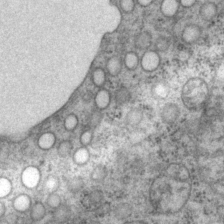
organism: P. pacificus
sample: Pharynx